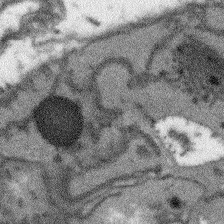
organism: Arabidopsis thaliana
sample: Root tip